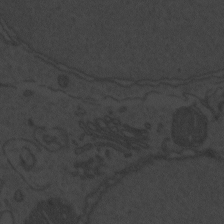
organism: Zebrafish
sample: Macrophage infected with Toxoplasma gondii